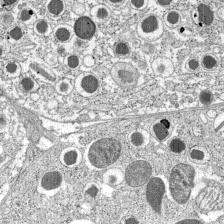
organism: C57BL Mouse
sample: Pancreatic islet